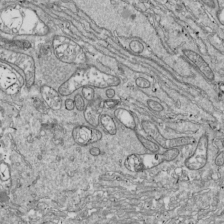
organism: Drosophila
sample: Cell division; meiosis; drosophila spermatocytes